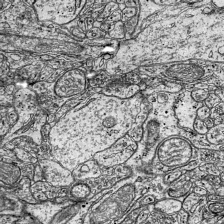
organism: Mouse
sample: Visual Cortex